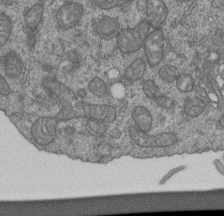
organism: Human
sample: Retinal organoid Rod and Cone cells